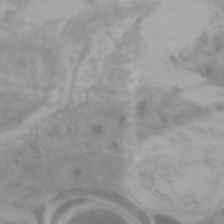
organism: Zebrafish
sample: Zebrafish embryo